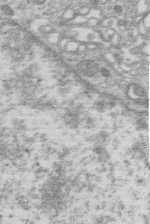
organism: Human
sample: Macrophage cells